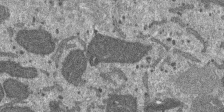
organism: Human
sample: Lung epithelial cells infected with SARS-CoV-2